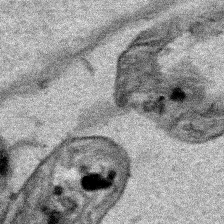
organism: Human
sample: Mitochondria in HCT116 cells